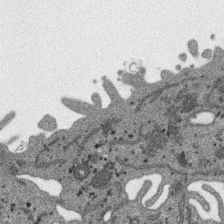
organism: Human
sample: Lung epithelial cells infected with SARS-CoV-2